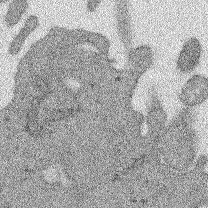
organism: Human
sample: HeLa cells